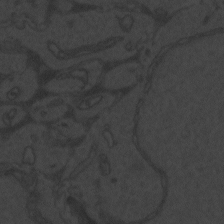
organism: Zebrafish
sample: Macrophage infected with Toxoplasma gondii